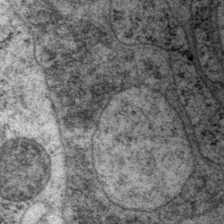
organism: P. pacificus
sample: Pharynx